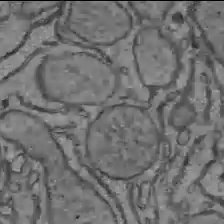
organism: C57BL Mouse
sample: Liver